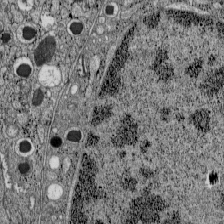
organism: C57BL Mouse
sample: Pancreatic islet